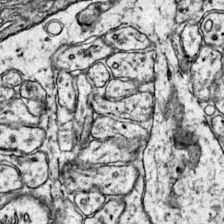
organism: Mouse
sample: Primary visual cortex